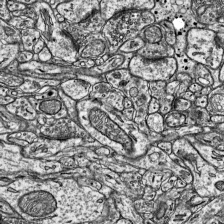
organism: Mouse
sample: Visual Cortex